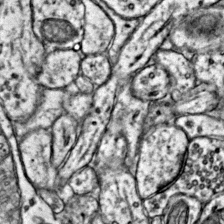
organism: Mouse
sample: Primary visual cortex